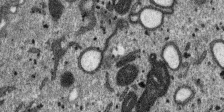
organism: Human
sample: Lung epithelial cells infected with SARS-CoV-2